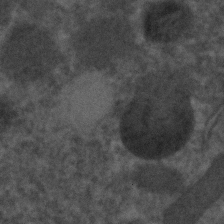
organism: C. elegans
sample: C. elegans embryo